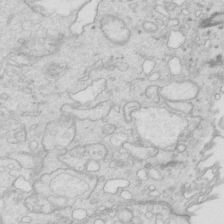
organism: Mouse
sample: Multiciliated cells